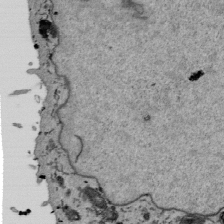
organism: Mouse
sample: ED-1 cell nuclei; centrioles